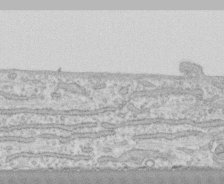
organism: Human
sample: CRL-1474